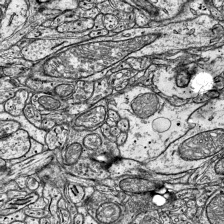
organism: Mouse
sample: Visual Cortex